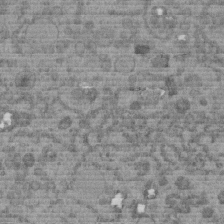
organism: C. elegans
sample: C. elegans embryo early stage